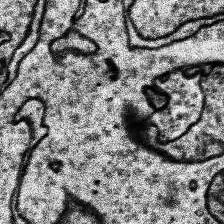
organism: Human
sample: Temporal Lobe